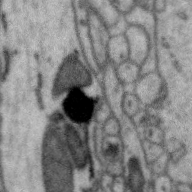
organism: Zebra finch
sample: Brain